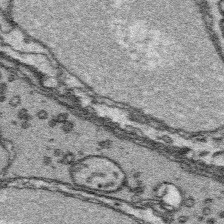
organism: Platynereis dumerilii